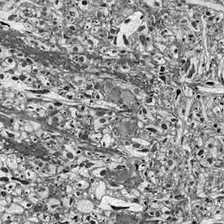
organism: Drosophila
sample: Optic lobe